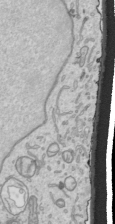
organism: Human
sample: Mitochondria in HCT116 cells